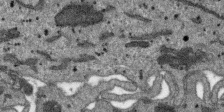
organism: Human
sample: Lung epithelial cells, uninfected (mock) control